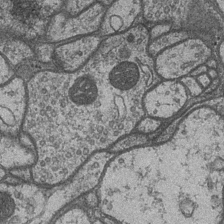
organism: Drosophila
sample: Optic medulla